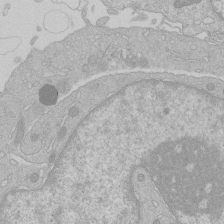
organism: Human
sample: Macrophage cells